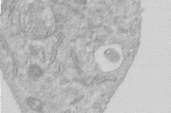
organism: Human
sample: Centriole in RPE cells